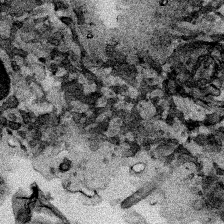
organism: Human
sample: Mitochondria in HCT116 cells